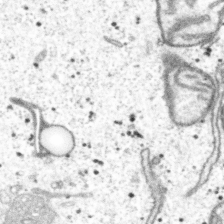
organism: Human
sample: HeLa cells